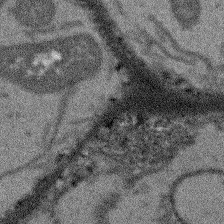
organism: Arabidopsis thaliana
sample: Root tip